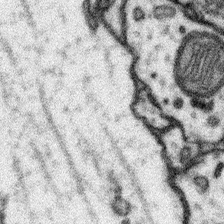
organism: Mouse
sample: Somatosensory cortex neuropil